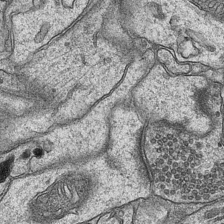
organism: Mouse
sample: CA1 Hippocampus